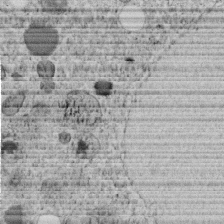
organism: C. elegans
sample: C. elegans embryo early stage